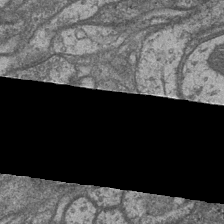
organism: Drosophila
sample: Optic medulla